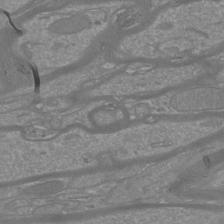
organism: Mouse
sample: Cortical neurons